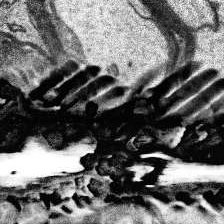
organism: Human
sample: Temporal Lobe